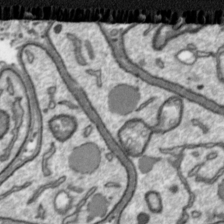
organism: Toxoplasma gondii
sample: Parasites in a vacuole inside a host cell